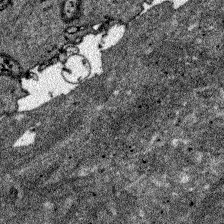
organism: Zebrafish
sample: Larval olfactory bulb